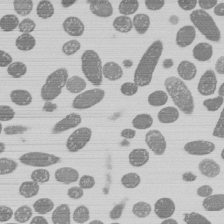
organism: E. coli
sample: Bacterial nucleoid